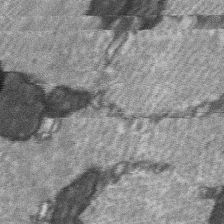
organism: C57BL Mouse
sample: Soleus